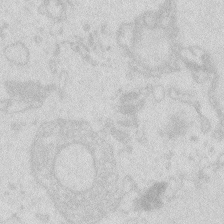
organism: Zebrafish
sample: Macrophage